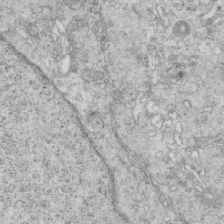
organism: Mouse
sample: Multiciliated cells